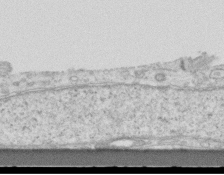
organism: Mouse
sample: Centriole in ependymal cells